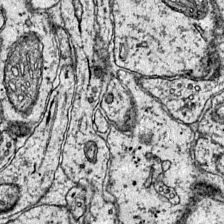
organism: Mouse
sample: Primary visual cortex